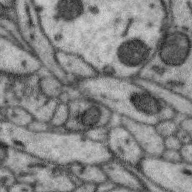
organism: Zebra finch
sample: Brain